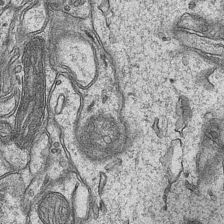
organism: Mouse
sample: CA1 Hippocampus